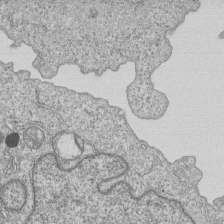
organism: Human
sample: MDA-MB-231 cells